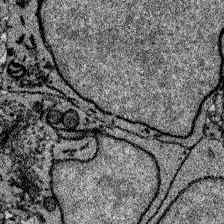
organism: Zebrafish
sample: Larval olfactory bulb